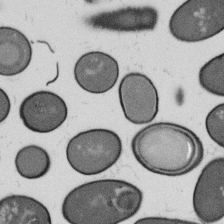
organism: B. subtilis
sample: Bacterial spore